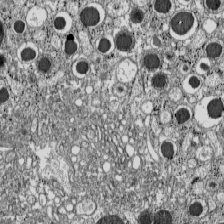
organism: C57BL Mouse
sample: Pancreatic islet